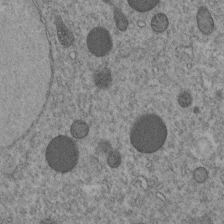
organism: C. elegans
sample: C. elegans embryo early stage